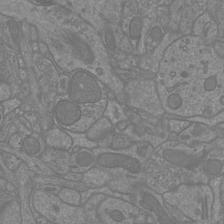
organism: Mouse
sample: Cortical neurons